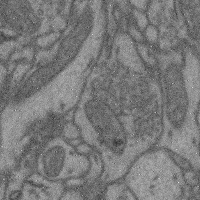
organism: Mouse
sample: Cerebral cortex